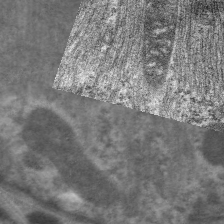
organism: C. elegans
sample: Pharynx